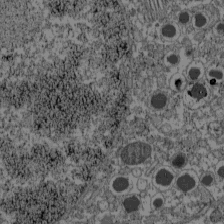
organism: C57BL Mouse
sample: Pancreatic islet